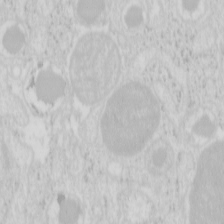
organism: Mouse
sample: Pancreas